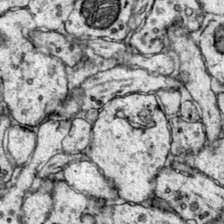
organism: Mouse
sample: Primary visual cortex